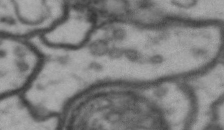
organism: Drosophila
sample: Brain